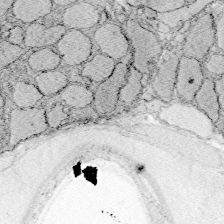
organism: Zebrafish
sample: Whole-Brain